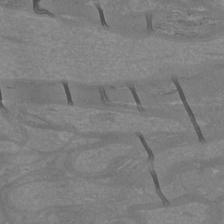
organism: Mouse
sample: Cortical neurons